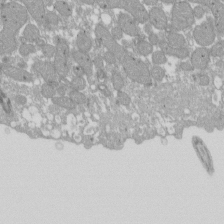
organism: Xenopus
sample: Cilia; centrioles in frog embryo cells